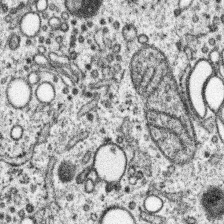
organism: Human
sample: HeLa cells